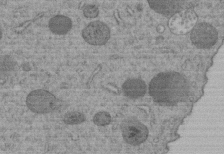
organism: C. elegans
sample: C. elegans embryo early stage